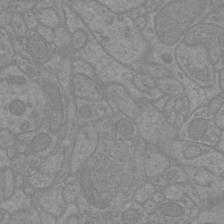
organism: Mouse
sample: Cortical neurons